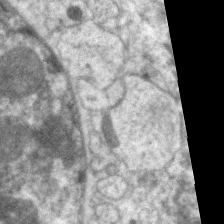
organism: C. elegans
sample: Pharynx